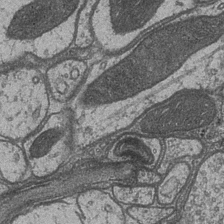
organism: Drosophila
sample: Optic medulla